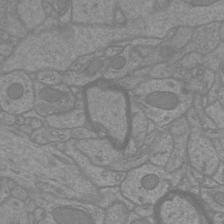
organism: Mouse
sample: Cortical neurons